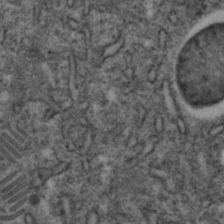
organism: C. elegans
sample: C. elegans embryo